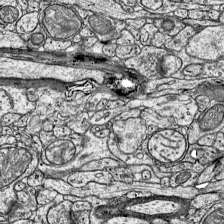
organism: Mouse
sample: Visual Cortex